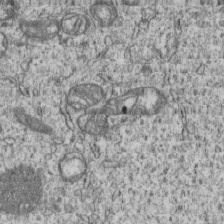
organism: Human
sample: MDA-MB-231 cells